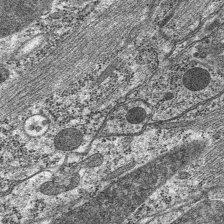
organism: C. elegans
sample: Pharynx